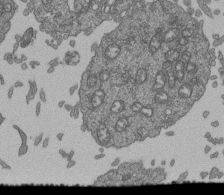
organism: Human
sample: Retinal organoid Rod and Cone cells